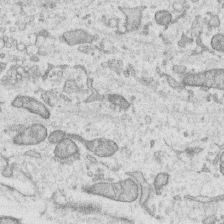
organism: Human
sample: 1205lu cells